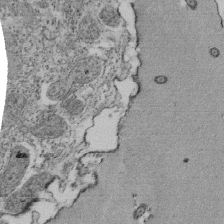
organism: Tetrahymena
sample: Cilia in tetrahymena